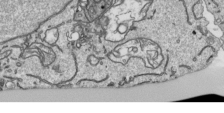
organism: Human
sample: Mitochondria in HCT116 cells